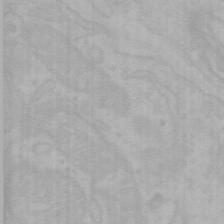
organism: Mouse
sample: Choroid plexus